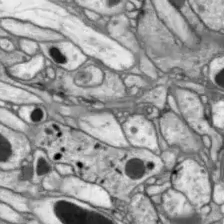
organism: Drosophila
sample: Optic lobe